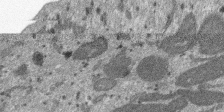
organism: Human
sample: Lung epithelial cells infected with SARS-CoV-2